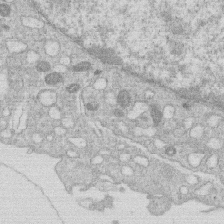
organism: Human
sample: Macrophage cells